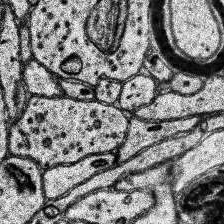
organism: Human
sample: Temporal Lobe